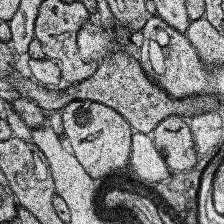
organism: Human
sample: Temporal Lobe